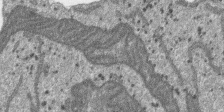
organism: Human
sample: Lung epithelial cells infected with SARS-CoV-2